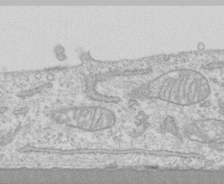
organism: Human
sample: CRL-1474